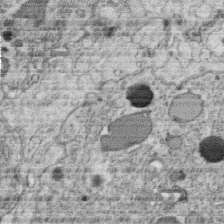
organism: C. elegans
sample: C. elegans oocyte; sperm cells